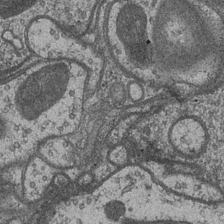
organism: Drosophila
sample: Optic medulla